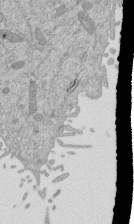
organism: Mouse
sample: ED-1 cell nuclei; centrioles